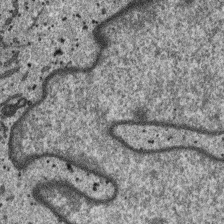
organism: Human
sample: Lung epithelial cells infected with SARS-CoV-2